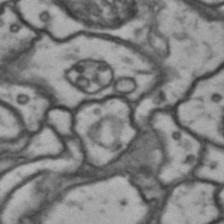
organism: Drosophila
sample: Brain